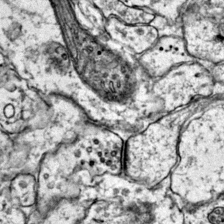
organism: Mouse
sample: Primary visual cortex